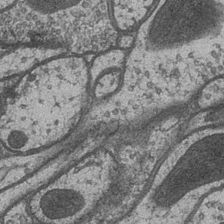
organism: Drosophila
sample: Optic medulla